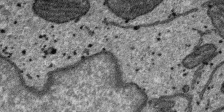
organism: Human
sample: Lung epithelial cells, uninfected (mock) control